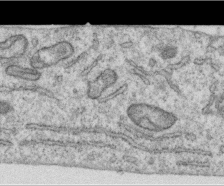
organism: Human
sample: Centriole in RPE cells